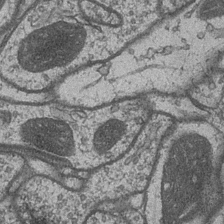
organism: Drosophila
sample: Optic medulla